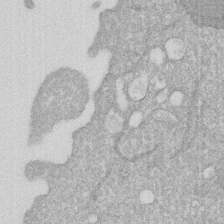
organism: Human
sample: HIV infected U937 cells